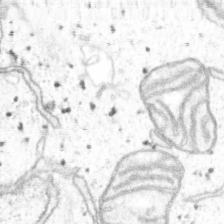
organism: Human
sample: HeLa cells